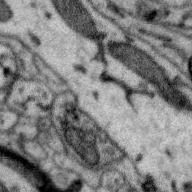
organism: Zebra finch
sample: Brain